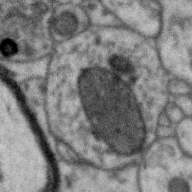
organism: Zebra finch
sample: Brain